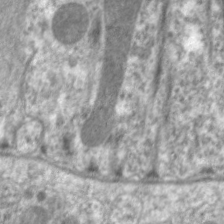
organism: C. elegans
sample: Pharynx